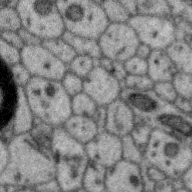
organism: Zebra finch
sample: Brain